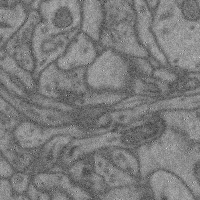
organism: Mouse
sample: Cerebral cortex